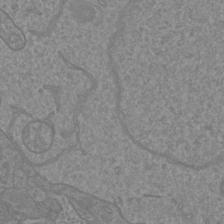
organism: Mouse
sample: Cortical neurons